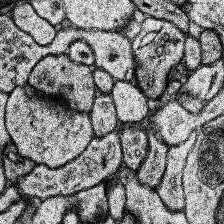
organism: Human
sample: Temporal Lobe